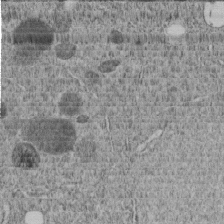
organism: C. elegans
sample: C. elegans embryo early stage